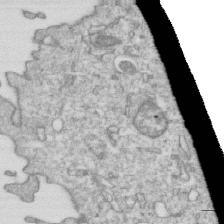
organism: Mouse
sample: Activated OT-1 CD8+ T cells